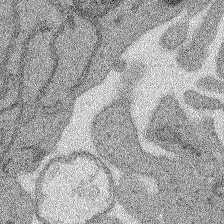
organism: Human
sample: HeLa cells